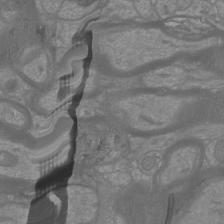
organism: Mouse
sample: Cortical neurons